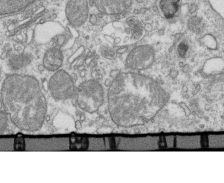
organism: Mouse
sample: Activated OT-1 CD8+ T cells